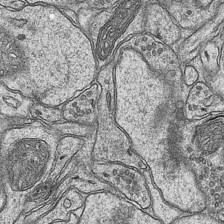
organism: Mouse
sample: CA1 Hippocampus